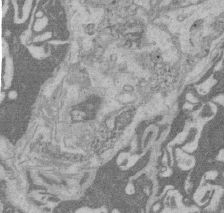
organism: Rat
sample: Salivary granule